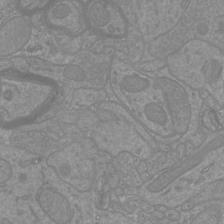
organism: Mouse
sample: Cortical neurons